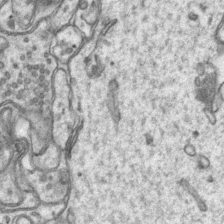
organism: Mouse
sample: CA1 Hippocampus